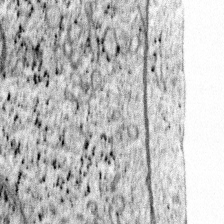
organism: Human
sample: HeLa cells